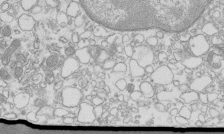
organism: Mouse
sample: Macrophages